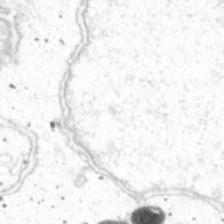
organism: Human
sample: HeLa cells